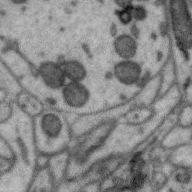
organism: Zebra finch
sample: Brain